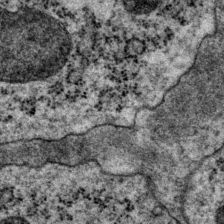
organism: P. pacificus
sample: Pharynx